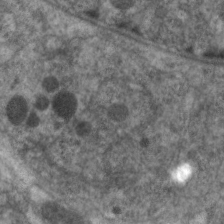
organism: C. elegans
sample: Pharynx